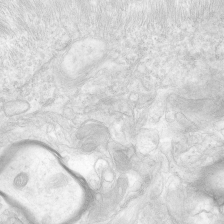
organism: Human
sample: Neocortex